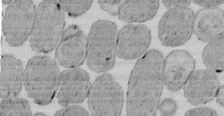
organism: E. coli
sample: Bacterial nucleoid